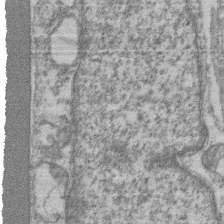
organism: Mouse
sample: T cell stromal cell synapse